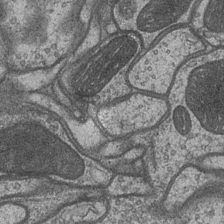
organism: Drosophila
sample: Optic medulla